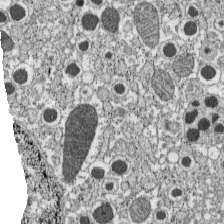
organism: C57BL Mouse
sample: Pancreatic islet